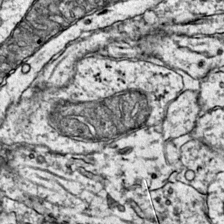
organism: Mouse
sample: Primary visual cortex